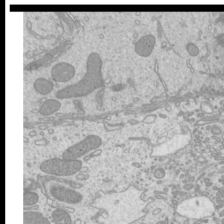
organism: Mouse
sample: Cilia; mouse epididymis